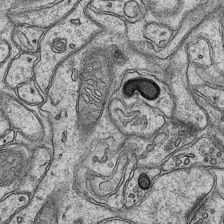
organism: Mouse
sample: CA1 Hippocampus